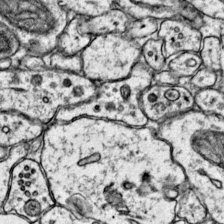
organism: Mouse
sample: Primary visual cortex